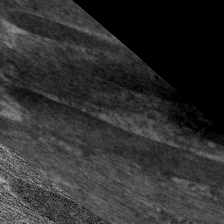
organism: C. elegans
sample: Pharynx